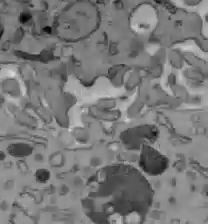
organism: C57BL Mouse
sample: Liver